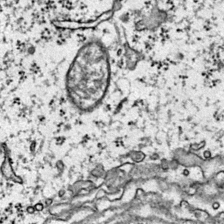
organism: Mouse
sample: Primary visual cortex